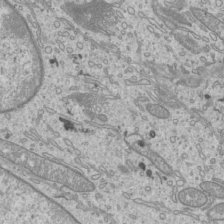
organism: Mouse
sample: Cilia; mouse epididymis